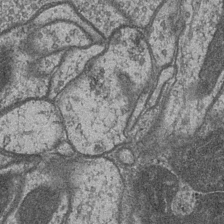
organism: Drosophila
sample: Optic medulla